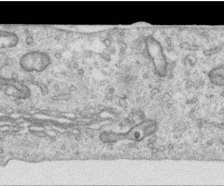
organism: Human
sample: Centriole in RPE cells